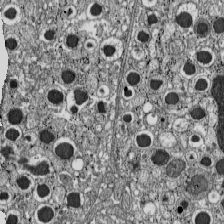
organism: C57BL Mouse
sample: Pancreatic islet